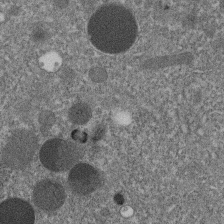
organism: C. elegans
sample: C. elegans embryo early stage